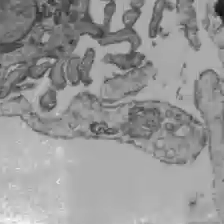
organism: C57BL Mouse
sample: Liver